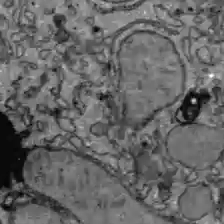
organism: C57BL Mouse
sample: Liver